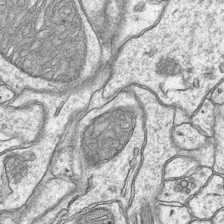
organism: Mouse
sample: CA1 Hippocampus